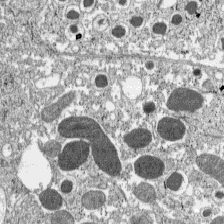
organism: C57BL Mouse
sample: Pancreatic islet